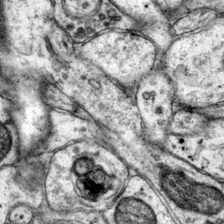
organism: Mouse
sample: Primary visual cortex